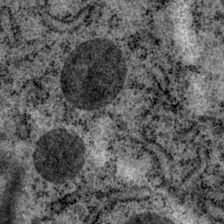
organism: P. pacificus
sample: Pharynx